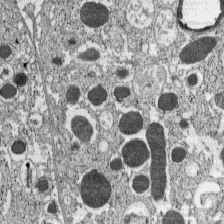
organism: C57BL Mouse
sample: Pancreatic islet